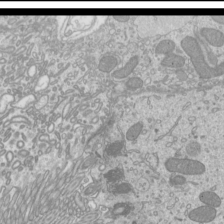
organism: Mouse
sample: Cilia; mouse epididymis